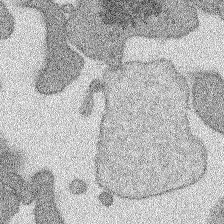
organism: Human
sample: HeLa cells